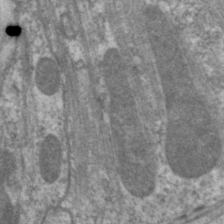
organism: C. elegans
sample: Pharynx